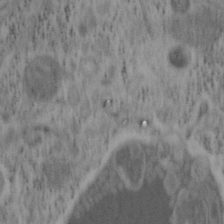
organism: Mouse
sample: OT-I killer T cells with ID8 ovarian cancer cells